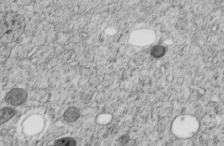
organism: C. elegans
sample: C. elegans embryo early stage